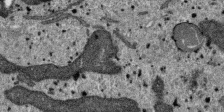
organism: Human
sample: Lung epithelial cells, uninfected (mock) control